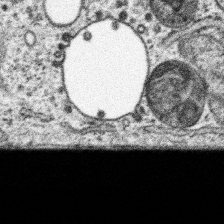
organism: Human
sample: HeLa cells